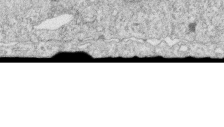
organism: Human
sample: HeLa cell HIV synapse